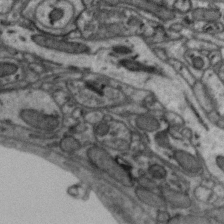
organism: Zebra finch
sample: Brain